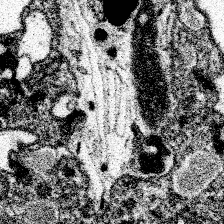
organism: Spongilla lacustris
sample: Neuroid cell